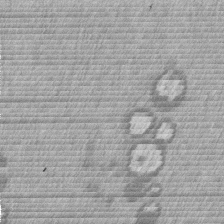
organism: Mouse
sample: Dividing mouse embryo 1 cell stage